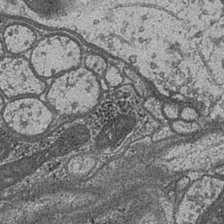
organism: Drosophila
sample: Optic medulla